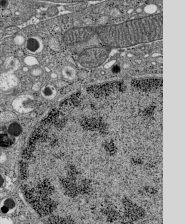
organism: C57BL Mouse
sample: Pancreatic islet